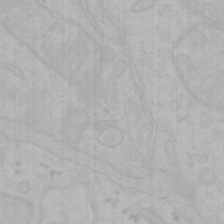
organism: Mouse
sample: Choroid plexus